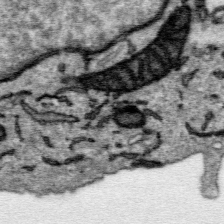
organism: Human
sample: HeLa cells